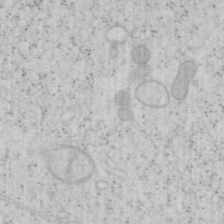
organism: Human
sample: HeLa cells